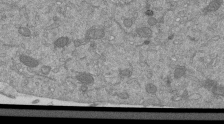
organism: Mouse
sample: ED-1 cell nuclei; centrioles